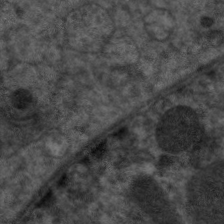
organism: C. elegans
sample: Pharynx